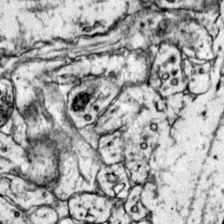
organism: Mouse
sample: Primary visual cortex